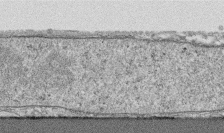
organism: Human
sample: CRL-1474